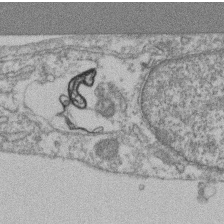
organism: Mouse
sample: T cell stromal cell synapse